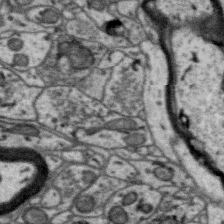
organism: Zebra finch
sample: Brain